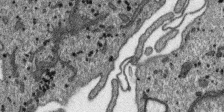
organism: Human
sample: Lung epithelial cells infected with SARS-CoV-2